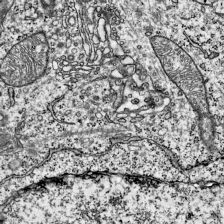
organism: Mouse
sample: Visual Cortex